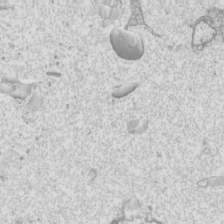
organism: Mouse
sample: Cilia; mouse epididymis